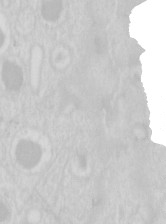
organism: Mouse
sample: Pancreas